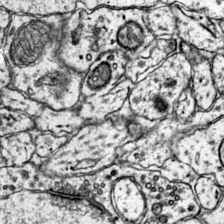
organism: Mouse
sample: Primary visual cortex